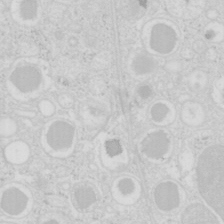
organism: Mouse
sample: Pancreas